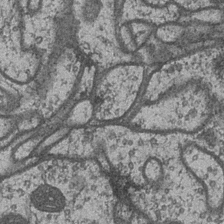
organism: Drosophila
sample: Optic medulla